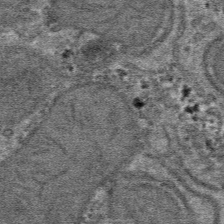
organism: Mouse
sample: Mouse hepatocytes